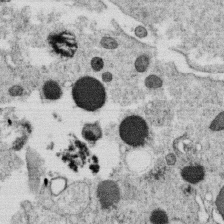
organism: C. elegans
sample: C. elegans oocyte; sperm cells